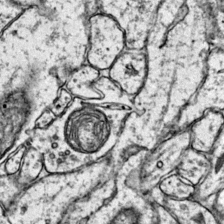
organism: Mouse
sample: Primary visual cortex